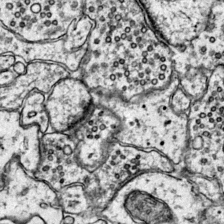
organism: Mouse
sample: Primary visual cortex